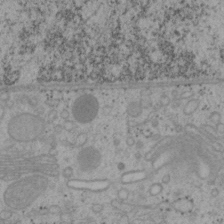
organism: Human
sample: HeLa cells